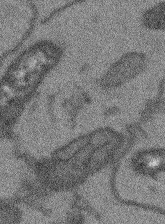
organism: Arabidopsis thaliana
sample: Root tip